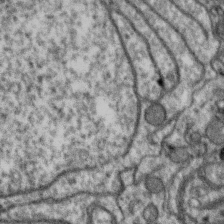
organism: Zebra finch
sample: Brain